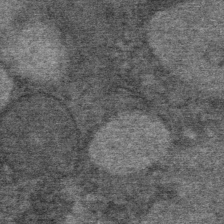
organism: Mouse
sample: Mouse Salivary gland